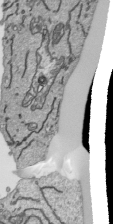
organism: Human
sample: Mitochondria in HCT116 cells